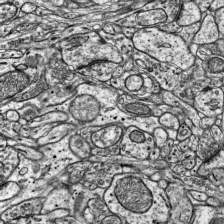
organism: Mouse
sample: Visual Cortex